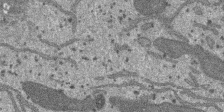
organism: Human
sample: Lung epithelial cells infected with SARS-CoV-2